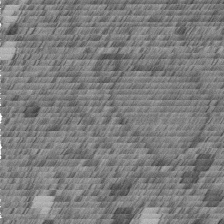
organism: C. elegans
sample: C. elegans embryo early stage